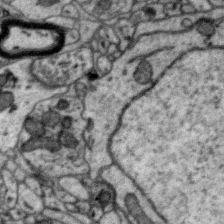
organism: Zebra finch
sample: Brain